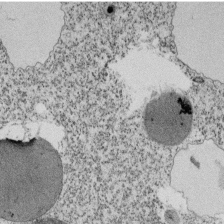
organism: Tetrahymena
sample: Cilia in tetrahymena